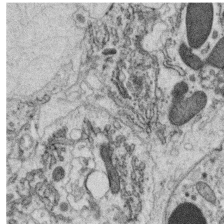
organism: C. elegans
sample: C. elegans oocyte; sperm cells